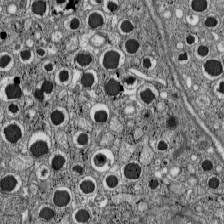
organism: C57BL Mouse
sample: Pancreatic islet